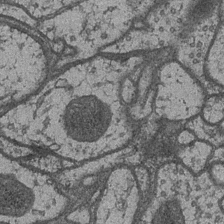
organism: Drosophila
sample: Optic medulla